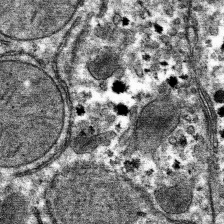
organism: Mouse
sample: Mouse hepatocytes